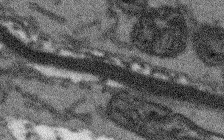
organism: Arabidopsis thaliana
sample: Root tip